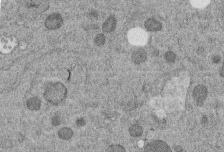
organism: C. elegans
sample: C. elegans embryo early stage